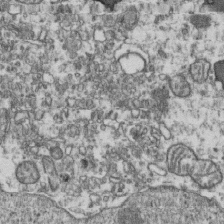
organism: Human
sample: Activated Jurkat CD4+ T cells